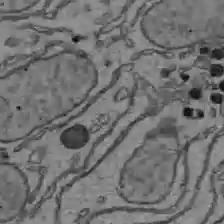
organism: C57BL Mouse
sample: Liver